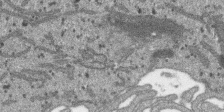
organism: Human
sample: Lung epithelial cells infected with SARS-CoV-2